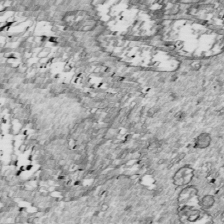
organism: Drosophila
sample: Cell division; meiosis; drosophila spermatocytes